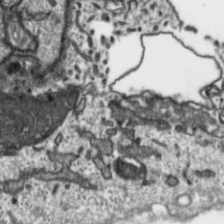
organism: Toxoplasma gondii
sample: Parasites in a vacuole inside a host cell